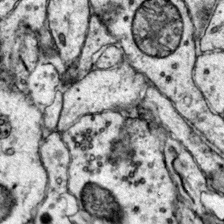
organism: Mouse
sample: Primary visual cortex